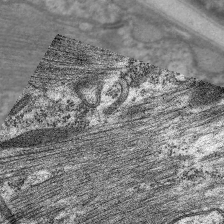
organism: C. elegans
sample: Pharynx